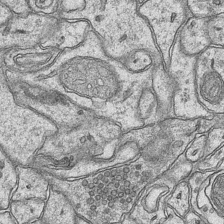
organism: Mouse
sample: CA1 Hippocampus